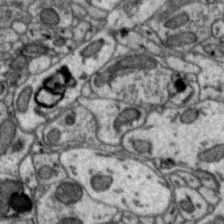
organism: Zebra finch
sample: Brain